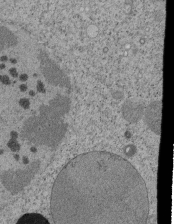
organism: Tetrahymena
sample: Cilia in tetrahymena